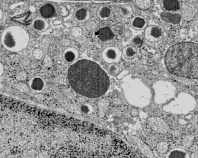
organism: C57BL Mouse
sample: Pancreatic islet